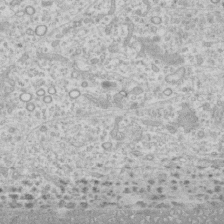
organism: Human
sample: CRL-1474